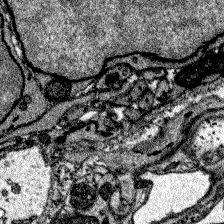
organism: Zebrafish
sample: Larval olfactory bulb